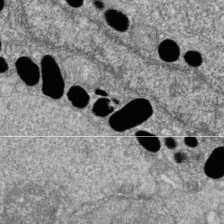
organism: Zebrafish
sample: Cilia; retinal pigment epithelium